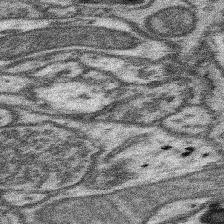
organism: Mouse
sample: Somatosensory cortex neuropil